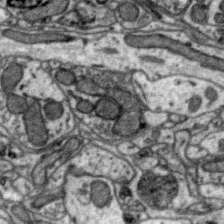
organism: Zebra finch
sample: Brain